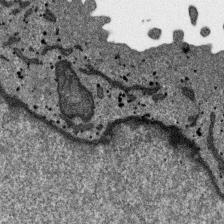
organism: Human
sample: Lung epithelial cells, uninfected (mock) control